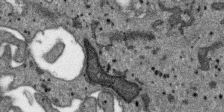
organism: Human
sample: Lung epithelial cells, uninfected (mock) control